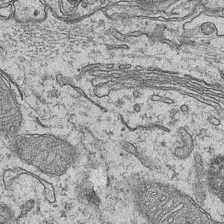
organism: Mouse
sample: CA1 Hippocampus